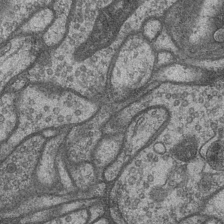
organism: Drosophila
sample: Optic medulla